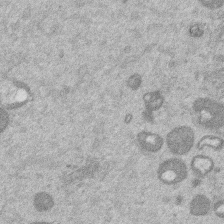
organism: Mouse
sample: Dividing mouse embryo 1 cell stage